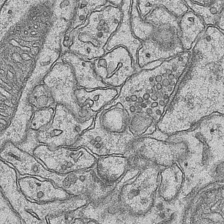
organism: Mouse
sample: CA1 Hippocampus